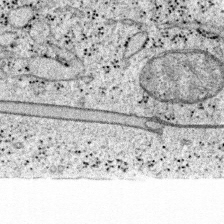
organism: Human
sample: HeLa cells